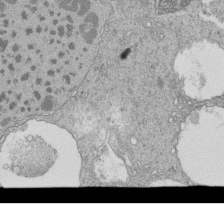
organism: Tetrahymena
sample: Cilia in tetrahymena